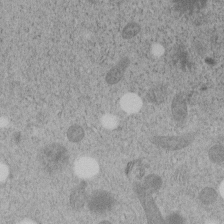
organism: C. elegans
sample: C. elegans embryo early stage